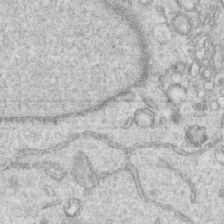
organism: Human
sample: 1205lu cells